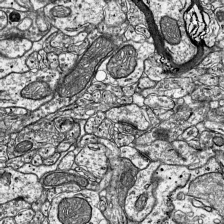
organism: Mouse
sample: Visual Cortex